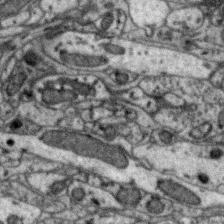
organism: Zebra finch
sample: Brain